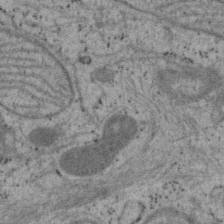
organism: Human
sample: HeLa cells